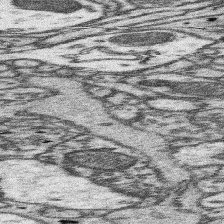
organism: Mouse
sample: Somatosensory cortex neuropil